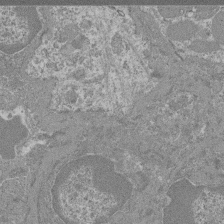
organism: Mouse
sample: Glomerulus